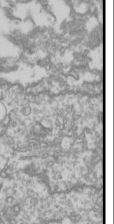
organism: Drosophila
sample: Cell division; meiosis; drosophila spermatocytes